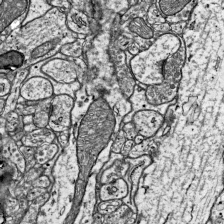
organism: Mouse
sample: Visual Cortex